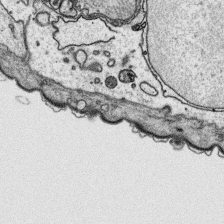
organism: Platynereis dumerilii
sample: Parapodia